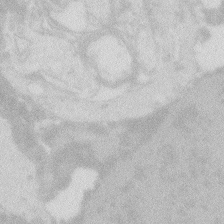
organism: Zebrafish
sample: Macrophage